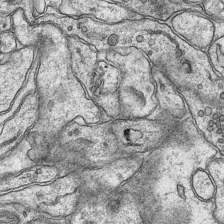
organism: Mouse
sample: CA1 Hippocampus